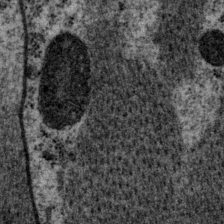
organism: P. pacificus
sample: Pharynx